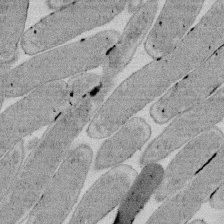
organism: E. coli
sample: Bacterial nucleoid